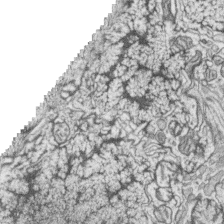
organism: Zebrafish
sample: synaptic ribbons in rod cells and cone cells